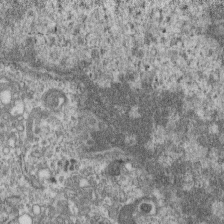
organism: Mouse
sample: Centriole in ependymal cells